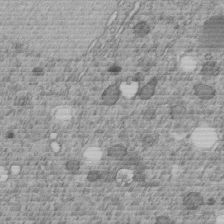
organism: C. elegans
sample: C. elegans embryo early stage